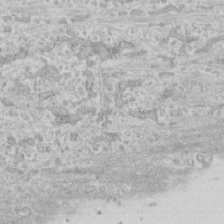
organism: Human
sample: CRL-1474